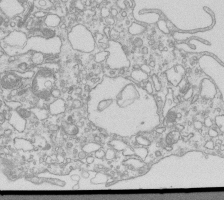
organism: Mouse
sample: Macrophages